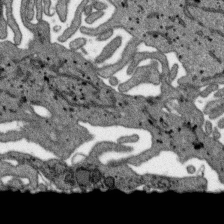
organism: Human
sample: Lung epithelial cells, uninfected (mock) control